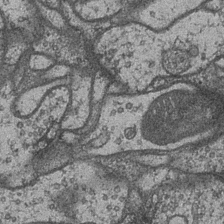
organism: Drosophila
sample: Optic medulla